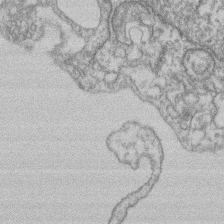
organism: Mouse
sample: T cell stromal cell synapse